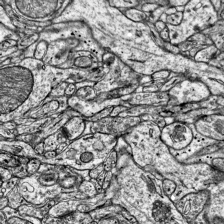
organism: Mouse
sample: Visual Cortex